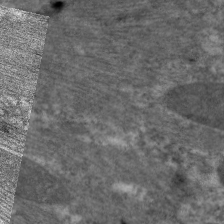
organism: C. elegans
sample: Pharynx